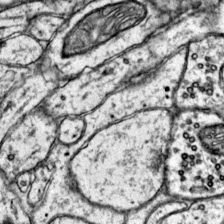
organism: Mouse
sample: Primary visual cortex